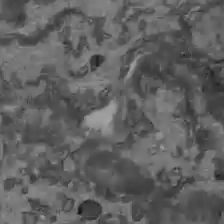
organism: C57BL Mouse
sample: Liver